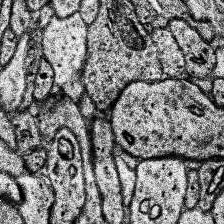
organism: Human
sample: Temporal Lobe